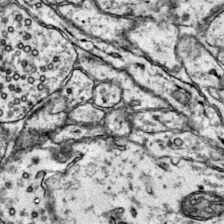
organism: Mouse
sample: Primary visual cortex